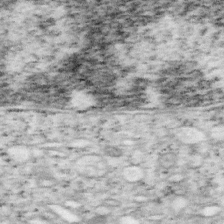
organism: Mouse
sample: OT-I killer T cells with ID8 ovarian cancer cells